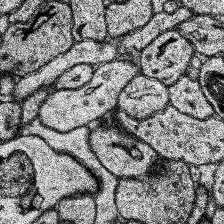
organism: Human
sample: Temporal Lobe